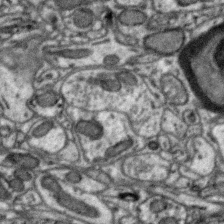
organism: Zebra finch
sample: Brain